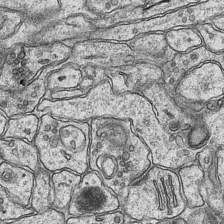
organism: Mouse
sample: CA1 Hippocampus